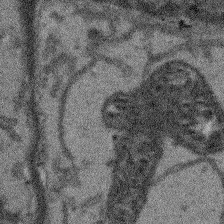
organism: Arabidopsis thaliana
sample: Root tip